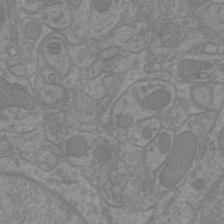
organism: Mouse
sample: Cortical neurons